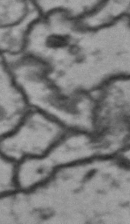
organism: Drosophila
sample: Brain